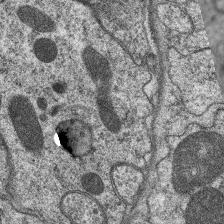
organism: C. elegans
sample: Pharynx